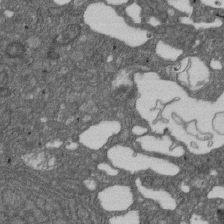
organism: Drosophila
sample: Nephrocyte